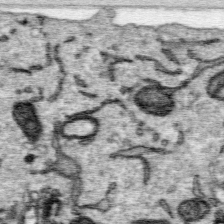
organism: Human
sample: HeLa cells